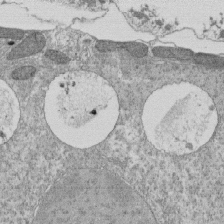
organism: Tetrahymena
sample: Cilia in tetrahymena